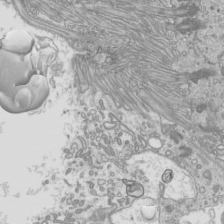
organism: Mouse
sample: Cilia; mouse epididymis